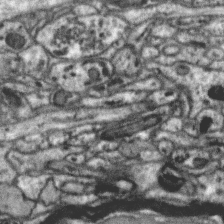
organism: Zebra finch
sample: Brain